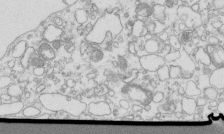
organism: Mouse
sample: Macrophages